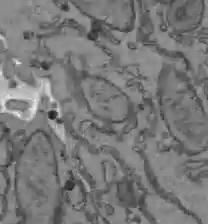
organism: C57BL Mouse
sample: Liver